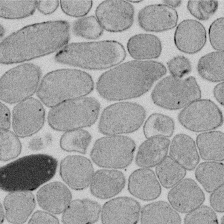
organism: E. coli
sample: Bacterial nucleoid